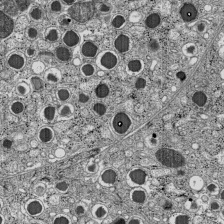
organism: C57BL Mouse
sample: Pancreatic islet